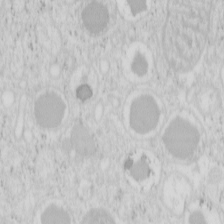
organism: Mouse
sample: Pancreas